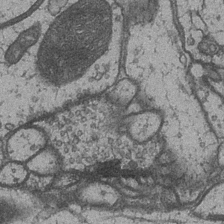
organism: Drosophila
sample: Optic medulla